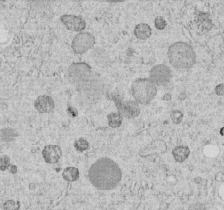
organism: C. elegans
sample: C. elegans embryo early stage